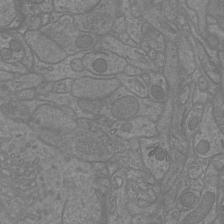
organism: Mouse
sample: Cortical neurons